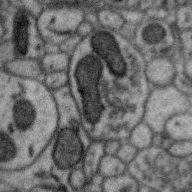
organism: Zebra finch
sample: Brain